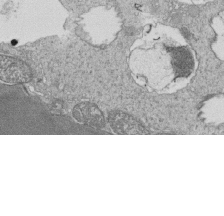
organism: Tetrahymena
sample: Cilia in tetrahymena